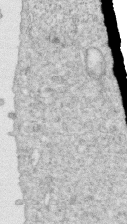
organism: Human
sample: HeLa cell HIV synapse